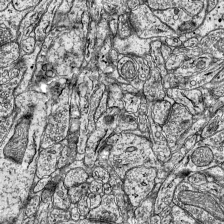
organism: Mouse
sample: Visual Cortex